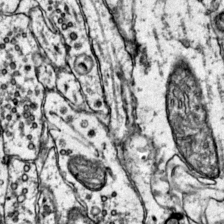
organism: Mouse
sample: Primary visual cortex